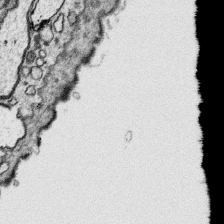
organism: Platynereis dumerilii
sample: Parapodia